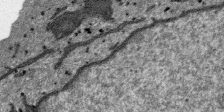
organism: Human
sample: Lung epithelial cells, uninfected (mock) control